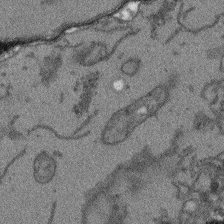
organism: Arabidopsis thaliana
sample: Root tip